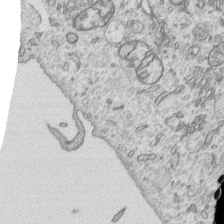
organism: Human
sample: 1205lu cells